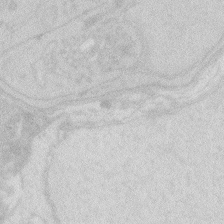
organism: Zebrafish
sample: Macrophage